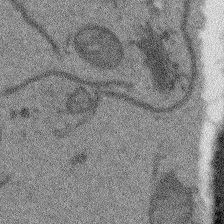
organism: Arabidopsis thaliana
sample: Root tip